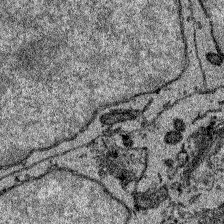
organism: Zebrafish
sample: Larval olfactory bulb